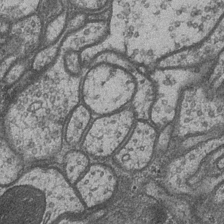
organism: Drosophila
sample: Optic medulla